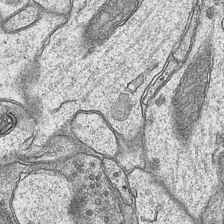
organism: Mouse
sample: CA1 Hippocampus